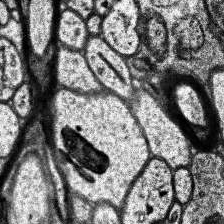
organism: Human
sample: Temporal Lobe